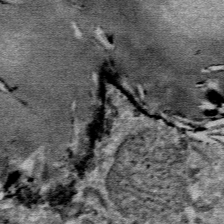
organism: Mouse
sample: Mouse Salivary gland